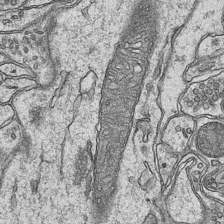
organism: Mouse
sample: CA1 Hippocampus